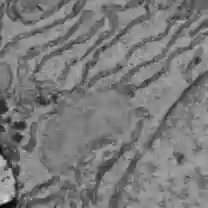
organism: C57BL Mouse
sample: Liver